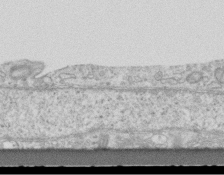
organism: Mouse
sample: Centriole in ependymal cells